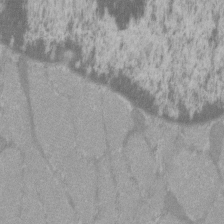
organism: C57BL Mouse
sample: Tibialis anterior muscle cell